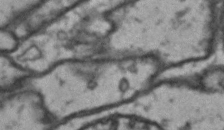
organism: Drosophila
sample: Brain